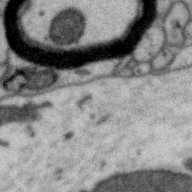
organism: Zebra finch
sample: Brain